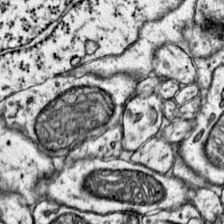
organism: Mouse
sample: Primary visual cortex